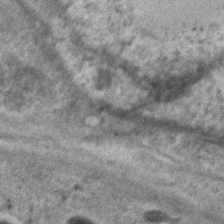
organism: C. elegans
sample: C. elegans embryo